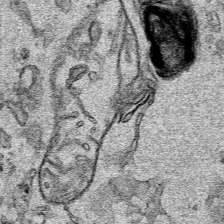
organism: Human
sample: Mitochondria in HCT116 cells